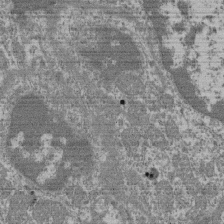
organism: Mouse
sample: Glomerulus